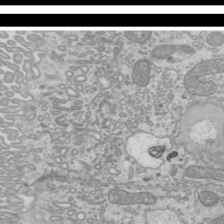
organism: Mouse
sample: Cilia; mouse epididymis